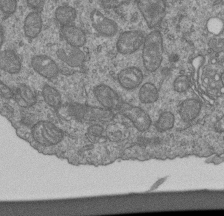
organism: Human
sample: Retinal organoid Rod and Cone cells